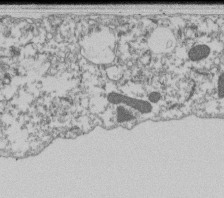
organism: Dictyostelium discoideum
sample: Dictyostelium multivesicular bodies